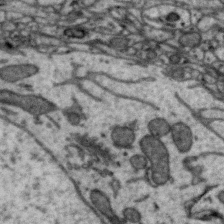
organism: Zebra finch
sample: Brain